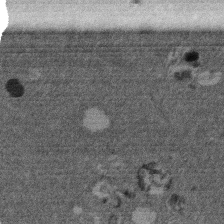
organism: Mouse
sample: Dividing mouse embryo 1 cell stage